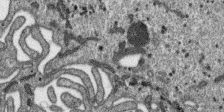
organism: Human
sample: Lung epithelial cells infected with SARS-CoV-2